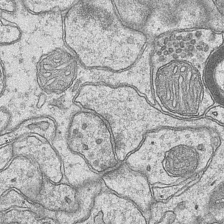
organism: Mouse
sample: CA1 Hippocampus